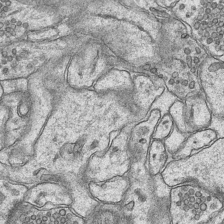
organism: Mouse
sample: CA1 Hippocampus